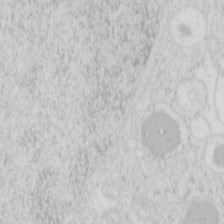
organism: Mouse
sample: Pancreas